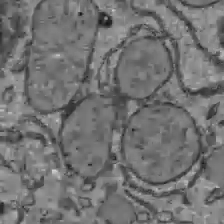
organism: C57BL Mouse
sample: Liver